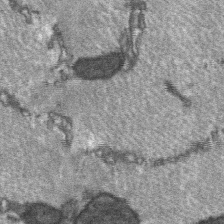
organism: C57BL Mouse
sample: Soleus